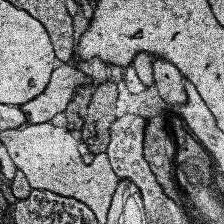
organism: Human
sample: Temporal Lobe